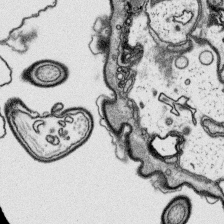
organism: Platynereis dumerilii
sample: Parapodia